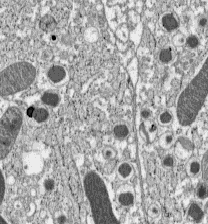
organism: C57BL Mouse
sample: Pancreatic islet